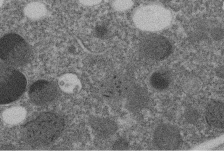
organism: C. elegans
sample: C. elegans embryo early stage